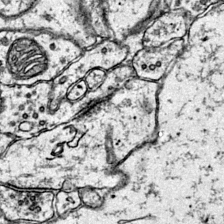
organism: Mouse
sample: Primary visual cortex